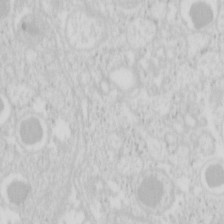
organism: Mouse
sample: Pancreas